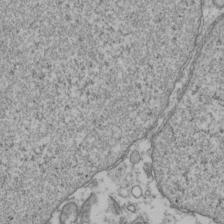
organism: Human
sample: Activated Jurkat CD4+ T cells